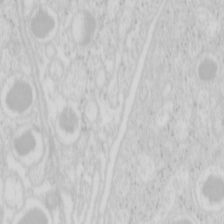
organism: Mouse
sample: Pancreas